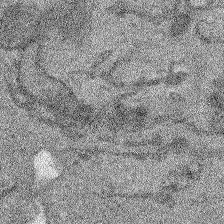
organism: Human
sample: HeLa cells